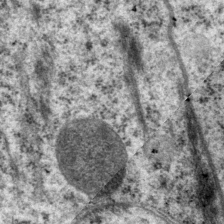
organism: P. pacificus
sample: Pharynx